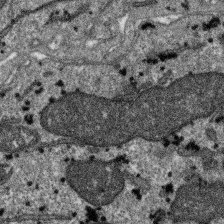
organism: Human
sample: Lung epithelial cells infected with SARS-CoV-2